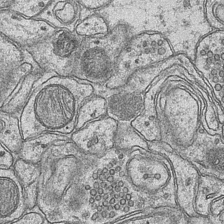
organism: Mouse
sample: CA1 Hippocampus